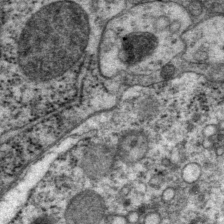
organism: P. pacificus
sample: Pharynx